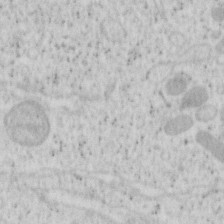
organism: Human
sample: HeLa cells